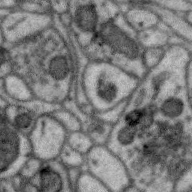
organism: Zebra finch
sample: Brain